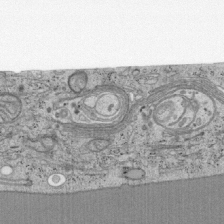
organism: Human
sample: HeLa cells